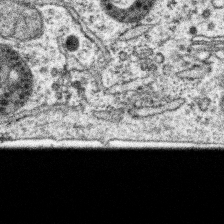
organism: Human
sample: HeLa cells